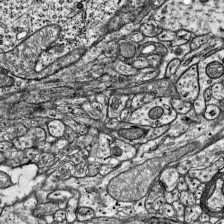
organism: Mouse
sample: Visual Cortex